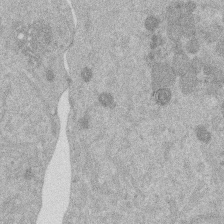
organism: Mouse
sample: Dividing mouse embryo 1 cell stage